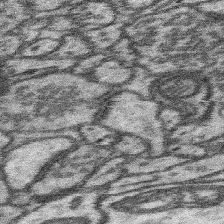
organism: Mouse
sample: Somatosensory cortex neuropil